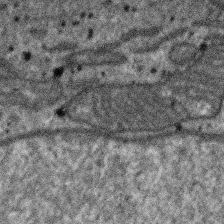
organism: Human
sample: Lung epithelial cells infected with SARS-CoV-2